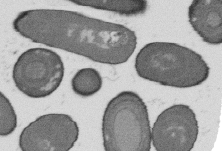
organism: B. subtilis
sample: Bacterial spore